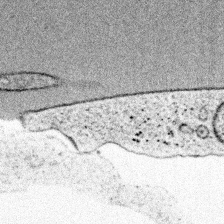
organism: Human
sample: HeLa cells